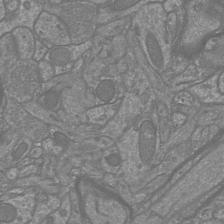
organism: Mouse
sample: Cortical neurons